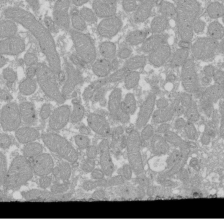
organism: Xenopus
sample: Cilia; centrioles in frog embryo cells